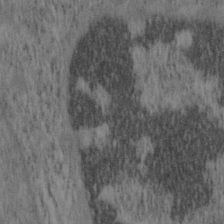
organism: Mouse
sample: OT-I killer T cells with ID8 ovarian cancer cells